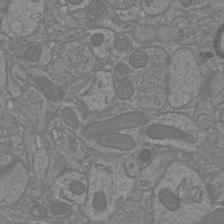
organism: Mouse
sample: Cortical neurons